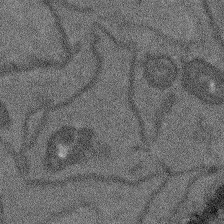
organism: Arabidopsis thaliana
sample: Root tip